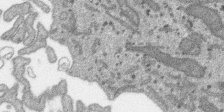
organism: Human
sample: Lung epithelial cells infected with SARS-CoV-2